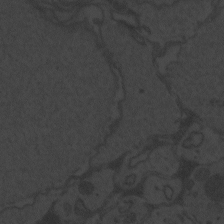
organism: Zebrafish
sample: Macrophage infected with Toxoplasma gondii